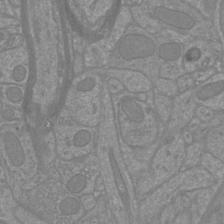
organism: Mouse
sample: Cortical neurons